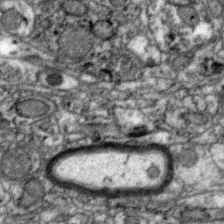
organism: Zebra finch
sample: Brain